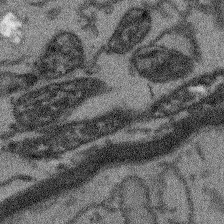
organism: Arabidopsis thaliana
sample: Root tip